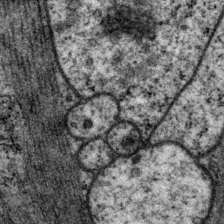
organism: P. pacificus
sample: Pharynx